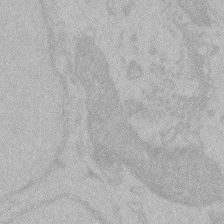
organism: Zebrafish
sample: Macrophage infected with Toxoplasma gondii